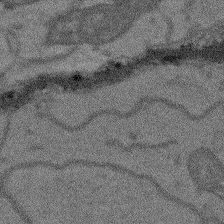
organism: Arabidopsis thaliana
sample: Root tip